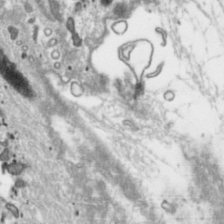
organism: Toxoplasma gondii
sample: Parasites in a vacuole inside a host cell